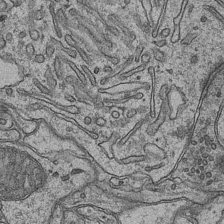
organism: Mouse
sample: CA1 Hippocampus